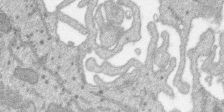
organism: Human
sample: Lung epithelial cells infected with SARS-CoV-2